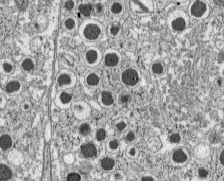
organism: C57BL Mouse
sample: Pancreatic islet